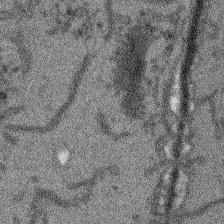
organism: Arabidopsis thaliana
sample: Root tip